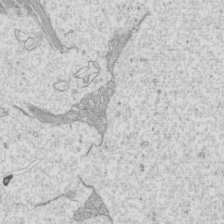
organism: Mouse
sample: Cilia; mouse epididymis